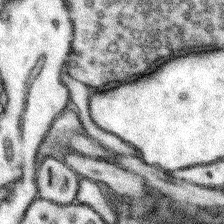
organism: Mouse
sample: Somatosensory cortex neuropil